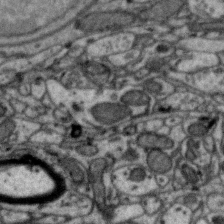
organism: Zebra finch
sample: Brain